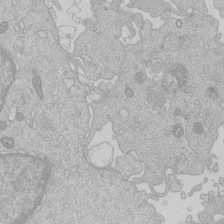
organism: Human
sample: Macrophage cells